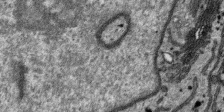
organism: Human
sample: Lung epithelial cells, uninfected (mock) control